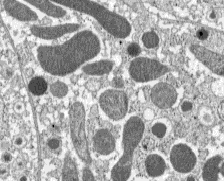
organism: C57BL Mouse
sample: Pancreatic islet